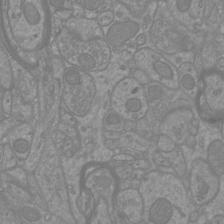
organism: Mouse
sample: Cortical neurons